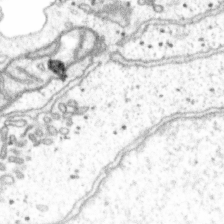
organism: Human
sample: HeLa cells